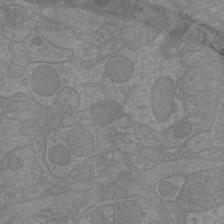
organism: Mouse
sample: Cortical neurons